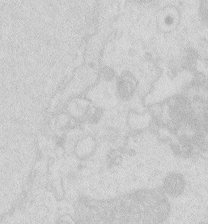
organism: Zebrafish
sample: Macrophage